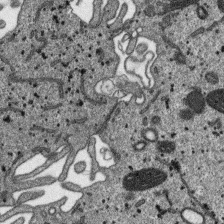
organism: Human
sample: Lung epithelial cells infected with SARS-CoV-2